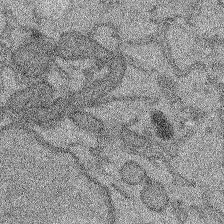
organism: Human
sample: HeLa cells